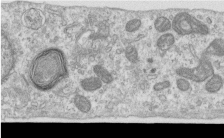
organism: Human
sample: Centriole in RPE cells